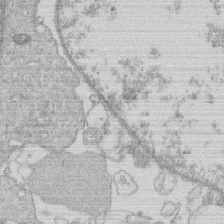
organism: Human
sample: Macrophage cells